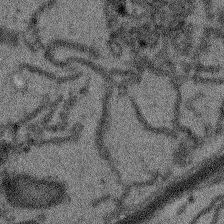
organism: Arabidopsis thaliana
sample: Root tip